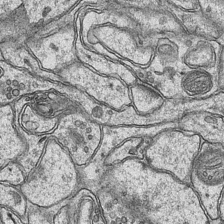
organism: Mouse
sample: CA1 Hippocampus